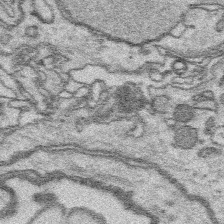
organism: Platynereis dumerilii